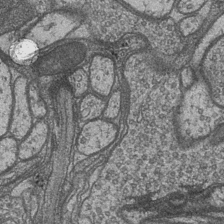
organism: Drosophila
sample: Optic medulla